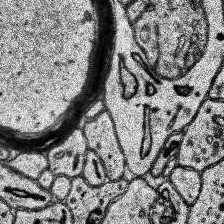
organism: Human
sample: Temporal Lobe